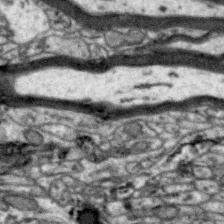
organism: Zebra finch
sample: Brain